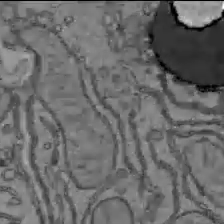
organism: C57BL Mouse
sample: Liver